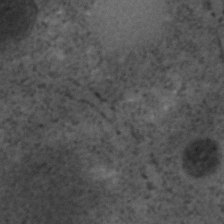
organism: C. elegans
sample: C. elegans embryo